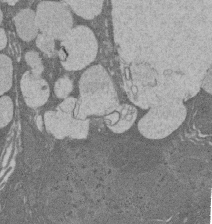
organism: Rat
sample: Salivary granule